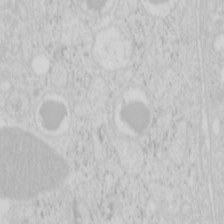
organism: Mouse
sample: Pancreas